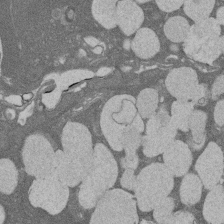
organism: Rat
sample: Salivary granule